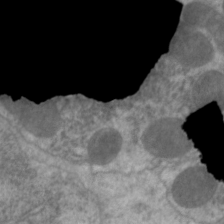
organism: C. elegans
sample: Pharynx